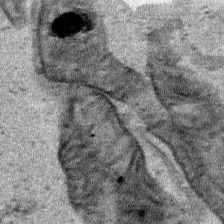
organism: Human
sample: Mitochondria in HCT116 cells